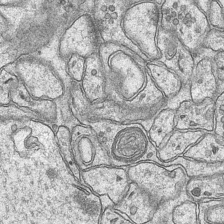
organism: Mouse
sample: CA1 Hippocampus